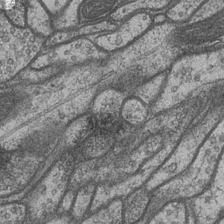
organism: Drosophila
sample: Optic medulla